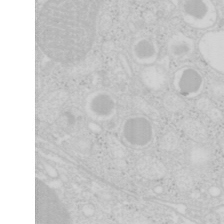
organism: Mouse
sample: Pancreas